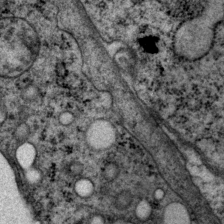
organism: P. pacificus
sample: Pharynx